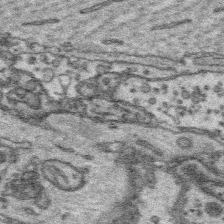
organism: Platynereis dumerilii